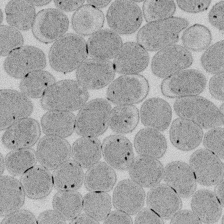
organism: E. coli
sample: Bacterial nucleoid